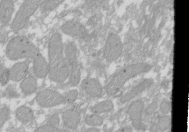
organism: Xenopus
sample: Cilia; centrioles in frog embryo cells